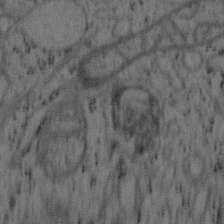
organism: Human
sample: HeLa cells